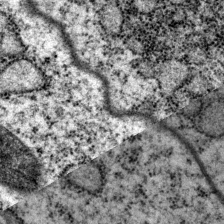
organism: P. pacificus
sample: Pharynx